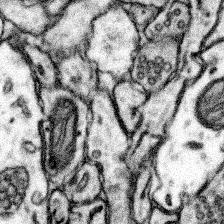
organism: Mouse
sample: Somatosensory cortex neuropil